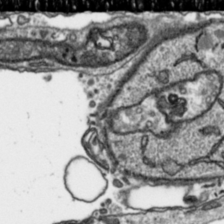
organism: Toxoplasma gondii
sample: Parasites in a vacuole inside a host cell